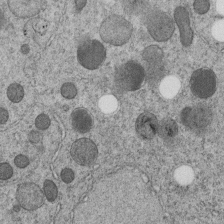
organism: C. elegans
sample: C. elegans embryo early stage